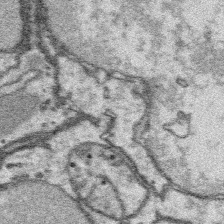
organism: Platynereis dumerilii